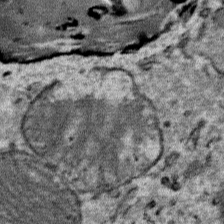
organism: Mouse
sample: Mouse Salivary gland